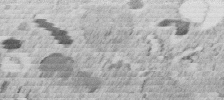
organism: C. elegans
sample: C. elegans embryo early stage